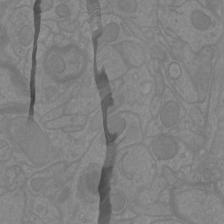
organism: Mouse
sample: Cortical neurons